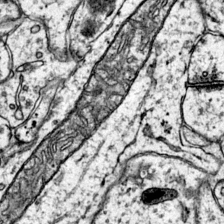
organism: Mouse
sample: Primary visual cortex